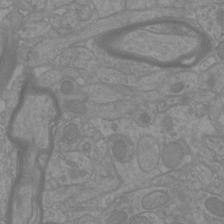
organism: Mouse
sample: Cortical neurons